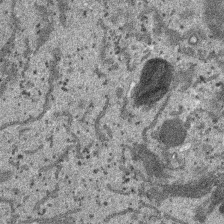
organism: Human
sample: Lung epithelial cells infected with SARS-CoV-2